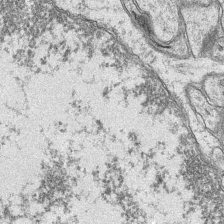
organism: Mouse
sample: CA1 Hippocampus